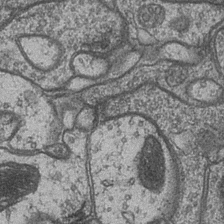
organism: Drosophila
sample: Optic medulla